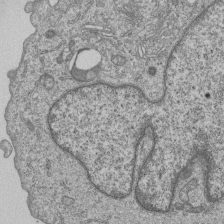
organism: Human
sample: MDA-MB-231 cells